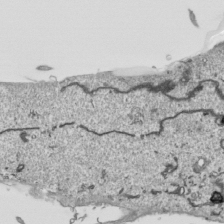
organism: Human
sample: Mitochondria in HCT116 cells